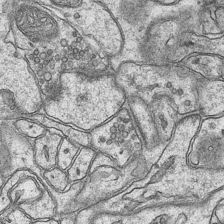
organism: Mouse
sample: CA1 Hippocampus